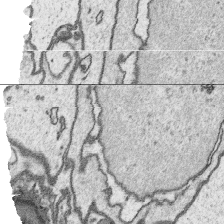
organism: Platynereis dumerilii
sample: Parapodia